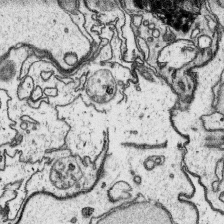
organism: Platynereis dumerilii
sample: Parapodia